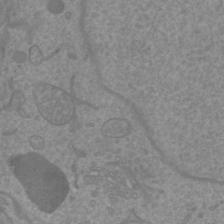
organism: Mouse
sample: Cortical neurons